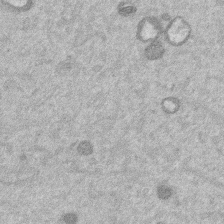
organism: Mouse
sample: Dividing mouse embryo 1 cell stage